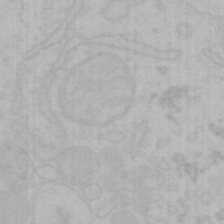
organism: Mouse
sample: Choroid plexus